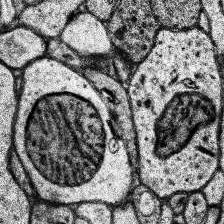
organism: Human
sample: Temporal Lobe